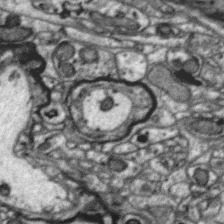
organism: Zebra finch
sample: Brain